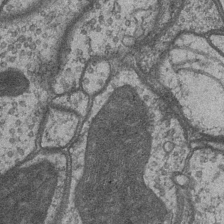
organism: Drosophila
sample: Optic medulla